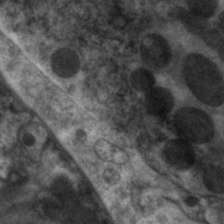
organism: C. elegans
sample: Pharynx